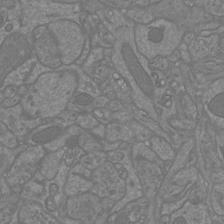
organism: Mouse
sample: Cortical neurons